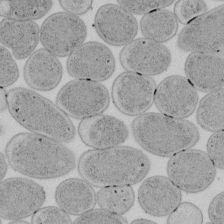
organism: E. coli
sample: Bacterial nucleoid